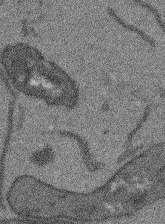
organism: Arabidopsis thaliana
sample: Root tip